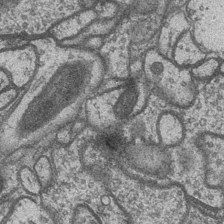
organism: Drosophila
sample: Optic medulla